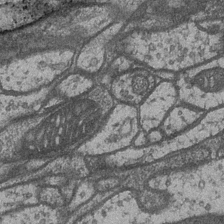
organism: Drosophila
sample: Optic medulla